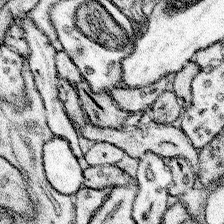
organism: Mouse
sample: Somatosensory cortex neuropil